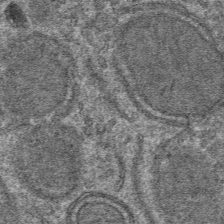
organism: Mouse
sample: Mouse hepatocytes